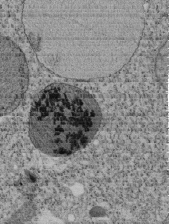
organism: Tetrahymena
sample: Cilia in tetrahymena